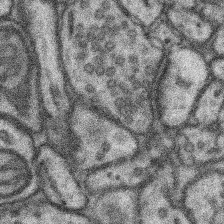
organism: Mouse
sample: Somatosensory cortex neuropil